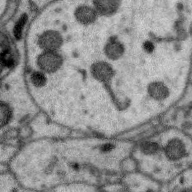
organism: Zebra finch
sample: Brain